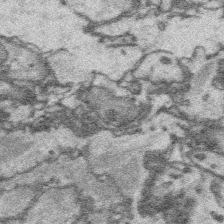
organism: Platynereis dumerilii